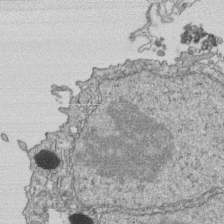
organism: Human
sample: HeLa cell HIV synapse